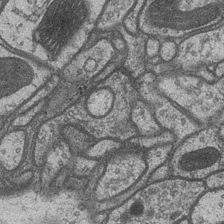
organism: Drosophila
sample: Optic medulla